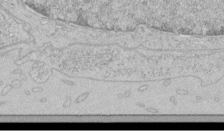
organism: Human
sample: Mitochondria in HCT116 cells